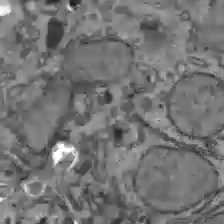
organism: C57BL Mouse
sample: Liver